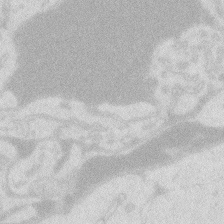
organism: Zebrafish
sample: Macrophage